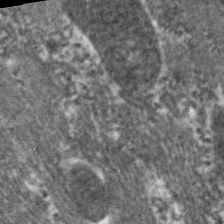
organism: C. elegans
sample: Pharynx